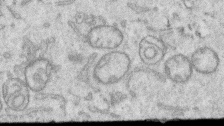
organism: Human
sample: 1205lu cells